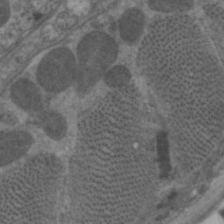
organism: C. elegans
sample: Pharynx